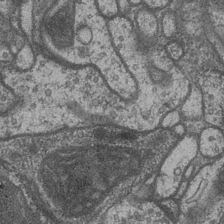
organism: Drosophila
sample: Optic medulla